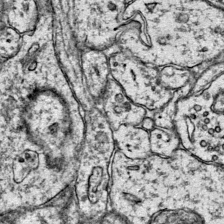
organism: Mouse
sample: Primary visual cortex